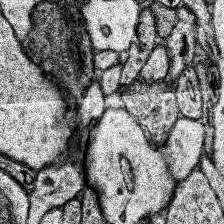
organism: Human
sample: Temporal Lobe